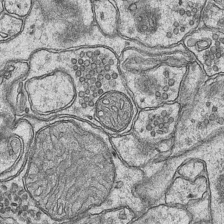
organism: Mouse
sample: CA1 Hippocampus